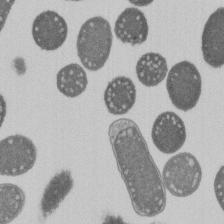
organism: E. coli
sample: Bacterial nucleoid